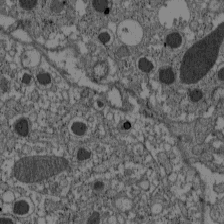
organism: C57BL Mouse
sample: Pancreatic islet